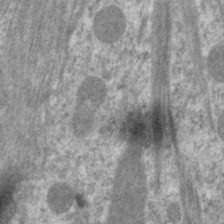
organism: C. elegans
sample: Pharynx